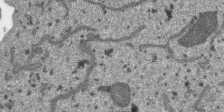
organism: Human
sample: Lung epithelial cells infected with SARS-CoV-2